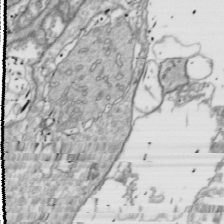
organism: Drosophila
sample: Cell division; meiosis; drosophila spermatocytes